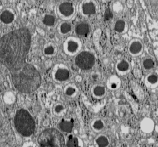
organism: C57BL Mouse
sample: Pancreatic islet